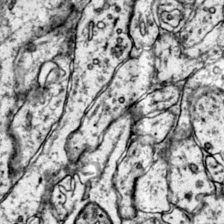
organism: Mouse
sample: Primary visual cortex